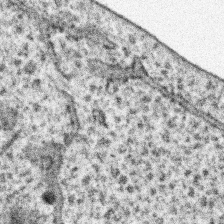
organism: Human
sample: HeLa cells